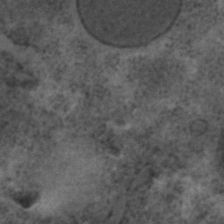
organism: C. elegans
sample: C. elegans embryo